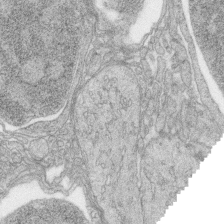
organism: Zebrafish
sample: synaptic ribbons in rod cells and cone cells